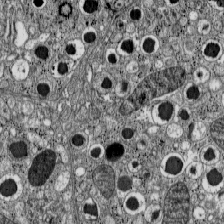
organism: C57BL Mouse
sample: Pancreatic islet